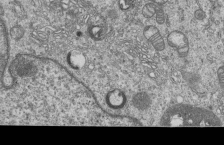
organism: Human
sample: MDA-MB-231 cells